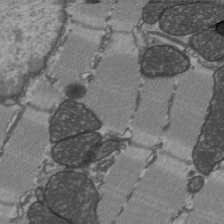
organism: C57BL Mouse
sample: Heart